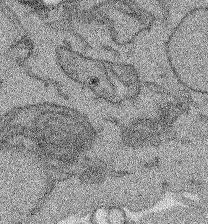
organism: Human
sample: HeLa cells